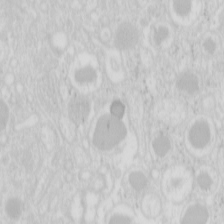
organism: Mouse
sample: Pancreas